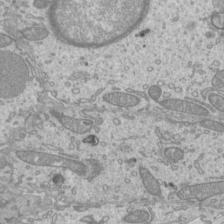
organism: Mouse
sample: Cilia; mouse epididymis